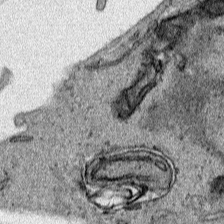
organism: Human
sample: Mitochondria in HCT116 cells